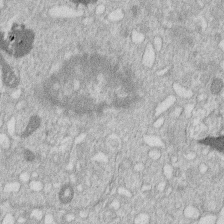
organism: Human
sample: Macrophage cells